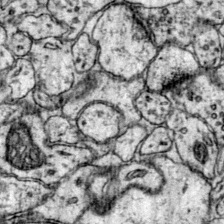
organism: Mouse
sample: Primary visual cortex